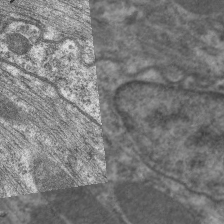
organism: C. elegans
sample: Pharynx